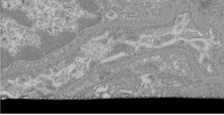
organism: Mouse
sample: Glomerulus